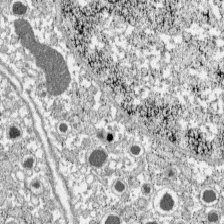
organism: C57BL Mouse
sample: Pancreatic islet